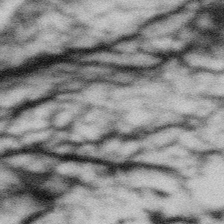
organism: Gemmata obscuriglobus